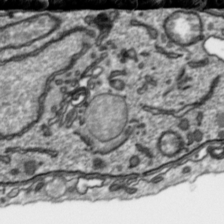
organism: Toxoplasma gondii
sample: Parasites in a vacuole inside a host cell